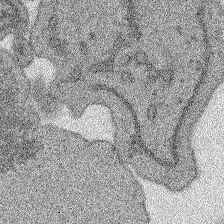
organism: Human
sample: HeLa cells